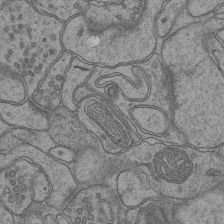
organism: Mouse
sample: CA1 Hippocampus